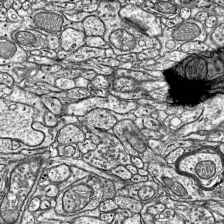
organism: Mouse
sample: Visual Cortex